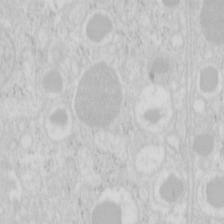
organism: Mouse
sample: Pancreas